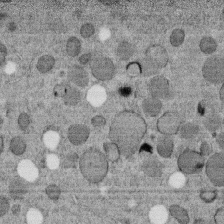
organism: C. elegans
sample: C. elegans embryo early stage